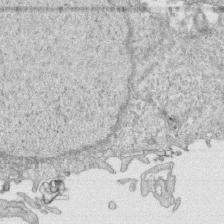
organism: Human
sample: HeLa cell HIV synapse